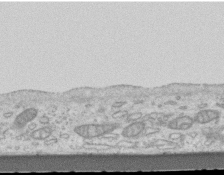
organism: Mouse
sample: Centriole in ependymal cells